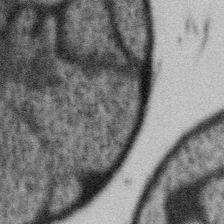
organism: Gemmata obscuriglobus